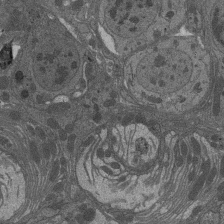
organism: Drosophila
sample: Antenna